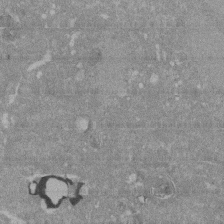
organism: Mouse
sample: ED-1 cell nuclei; centrioles